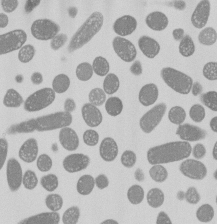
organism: E. coli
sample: Bacterial nucleoid